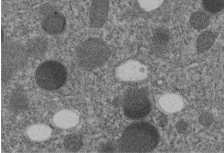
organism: C. elegans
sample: C. elegans embryo early stage